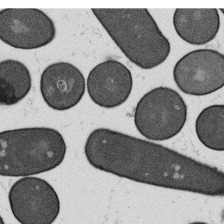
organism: B. subtilis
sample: Bacterial spore